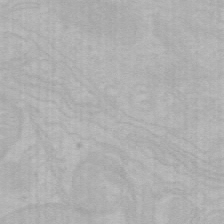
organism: Mouse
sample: Choroid plexus